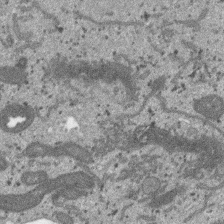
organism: Human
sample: Lung epithelial cells infected with SARS-CoV-2